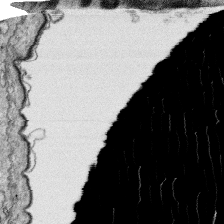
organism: Platynereis dumerilii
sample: Parapodia